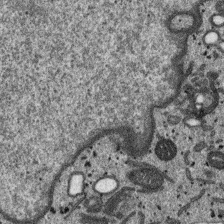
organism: Human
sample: Lung epithelial cells infected with SARS-CoV-2